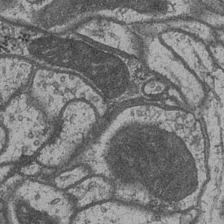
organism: Drosophila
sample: Optic medulla